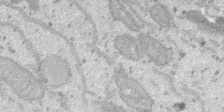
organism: Human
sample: Lung epithelial cells infected with SARS-CoV-2